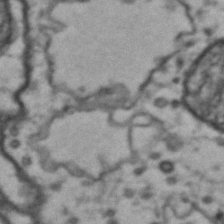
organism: Drosophila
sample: Brain